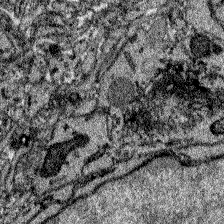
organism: Zebrafish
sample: Larval olfactory bulb